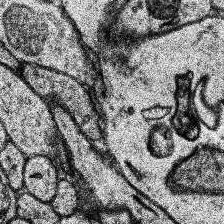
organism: Human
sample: Temporal Lobe